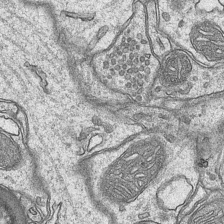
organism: Mouse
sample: CA1 Hippocampus